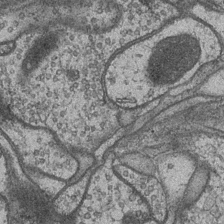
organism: Drosophila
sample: Optic medulla